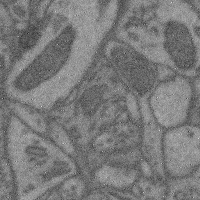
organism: Mouse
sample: Cerebral cortex